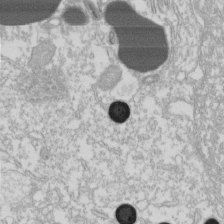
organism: Xenopus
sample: Cilia; centrioles in frog embryo cells